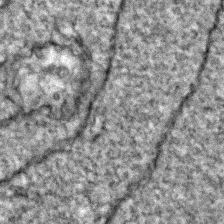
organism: Zebrafish